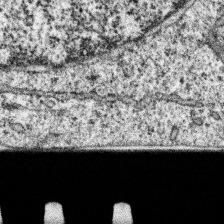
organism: Human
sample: HeLa cells